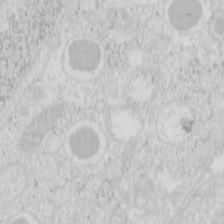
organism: Mouse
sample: Pancreas